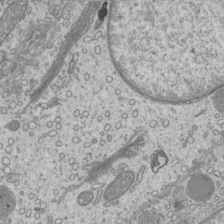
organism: Mouse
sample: Cilia; mouse epididymis